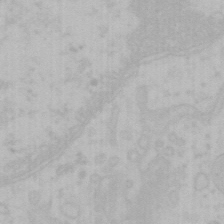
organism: Mouse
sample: Choroid plexus